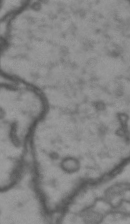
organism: Drosophila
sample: Brain